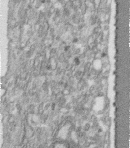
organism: Human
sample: Centriole in fibroblast cells